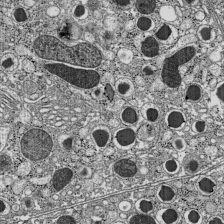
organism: C57BL Mouse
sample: Pancreatic islet